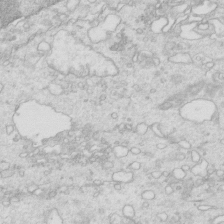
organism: Mouse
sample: Multiciliated cells